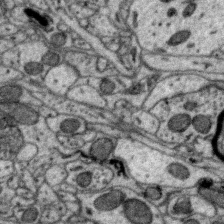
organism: Zebra finch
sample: Brain